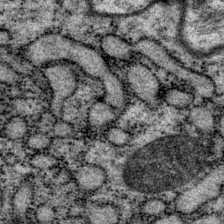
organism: P. pacificus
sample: Pharynx